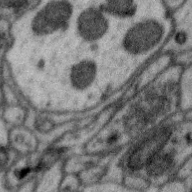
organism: Zebra finch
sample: Brain